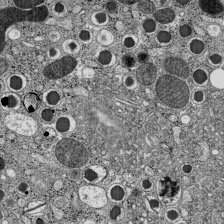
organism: C57BL Mouse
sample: Pancreatic islet